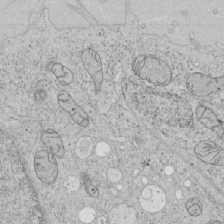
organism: Human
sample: Mitochondria in HCT116 cells